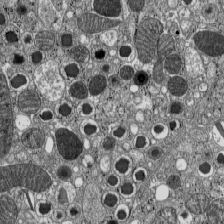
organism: C57BL Mouse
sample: Pancreatic islet